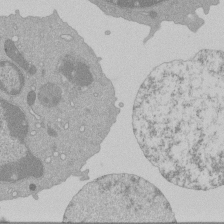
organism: Mouse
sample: Activated Pmel transgenic CD8+ T Cells